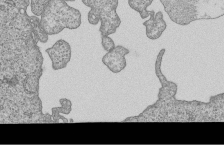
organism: Human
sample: MDA-MB-231 cells